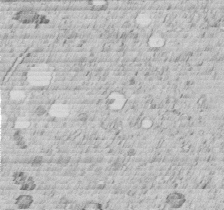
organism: C. elegans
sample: C. elegans embryo early stage